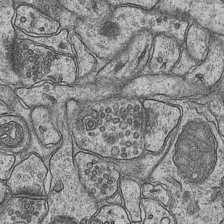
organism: Mouse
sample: CA1 Hippocampus